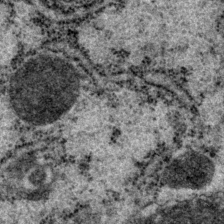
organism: P. pacificus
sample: Pharynx